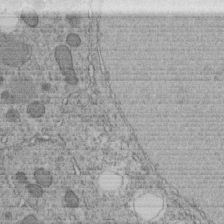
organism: C. elegans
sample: C. elegans embryo early stage